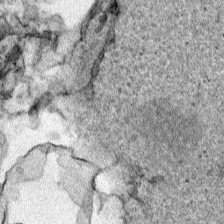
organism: Human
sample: Mitochondria in HCT116 cells